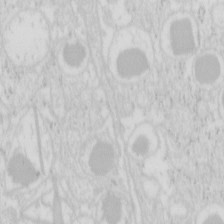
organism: Mouse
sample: Pancreas